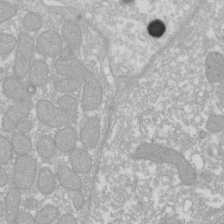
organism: Xenopus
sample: Cilia; centrioles in frog embryo cells